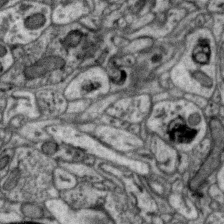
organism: Zebra finch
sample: Brain